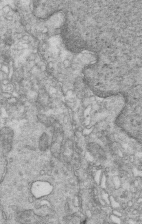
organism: Mouse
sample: Multiciliated cells